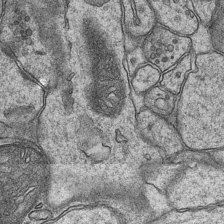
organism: Mouse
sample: CA1 Hippocampus